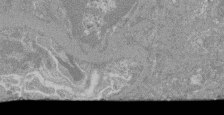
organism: Mouse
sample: Glomerulus